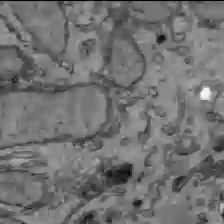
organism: C57BL Mouse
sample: Liver